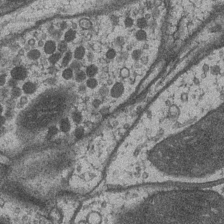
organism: Drosophila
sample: Optic medulla